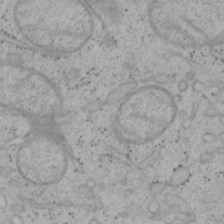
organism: Human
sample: HeLa cells